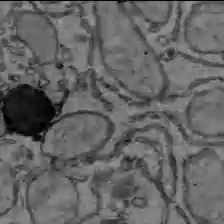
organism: C57BL Mouse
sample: Liver